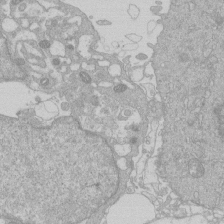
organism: Human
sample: Macrophage cells